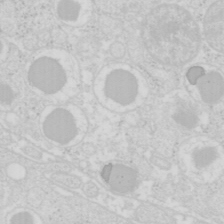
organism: Mouse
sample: Pancreas